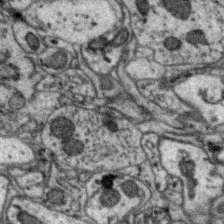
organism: Zebra finch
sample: Brain